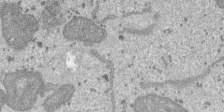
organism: Human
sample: Lung epithelial cells infected with SARS-CoV-2